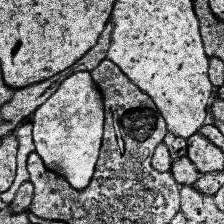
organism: Human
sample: Temporal Lobe